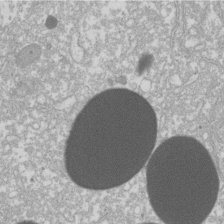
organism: Xenopus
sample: Cilia; centrioles in frog embryo cells